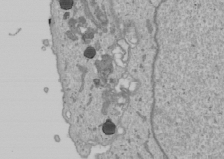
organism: Human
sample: Mitochondria in U2OS cells